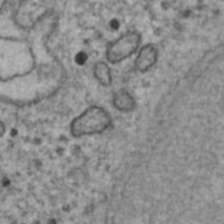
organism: Human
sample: Blood